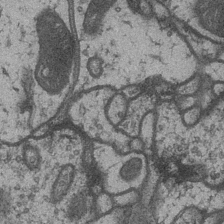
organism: Drosophila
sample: Optic medulla